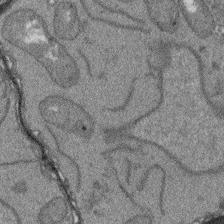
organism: Arabidopsis thaliana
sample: Root tip